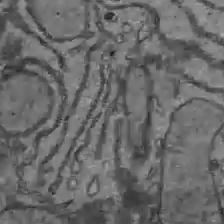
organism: C57BL Mouse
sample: Liver